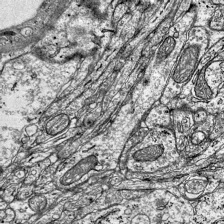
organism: Mouse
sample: Visual Cortex